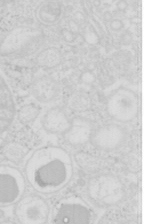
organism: Mouse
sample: Pancreas